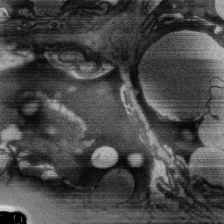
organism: Rat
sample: Salivary granule